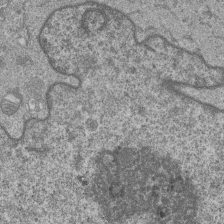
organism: Human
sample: MDA-MB-231 cells